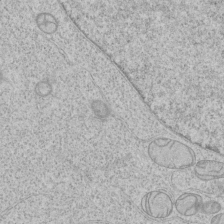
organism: Human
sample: Mitochondria in HCT116 cells